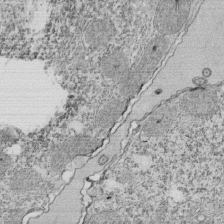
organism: Tetrahymena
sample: Cilia in tetrahymena